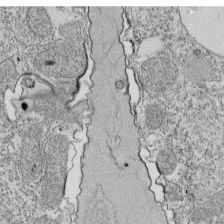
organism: Tetrahymena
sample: Cilia in tetrahymena